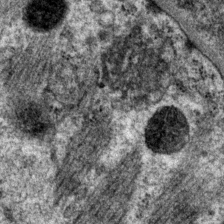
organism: P. pacificus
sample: Pharynx